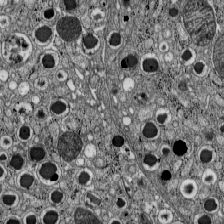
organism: C57BL Mouse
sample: Pancreatic islet